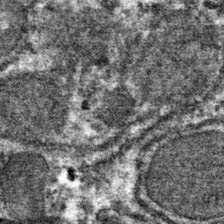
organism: Mouse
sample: Mouse hepatocytes